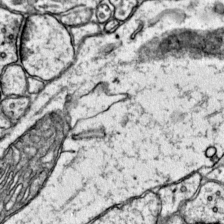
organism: Mouse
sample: Primary visual cortex